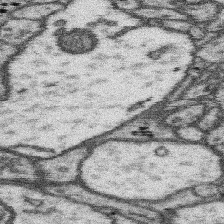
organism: Mouse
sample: Somatosensory cortex neuropil